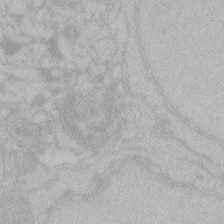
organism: Zebrafish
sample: Macrophage infected with Toxoplasma gondii